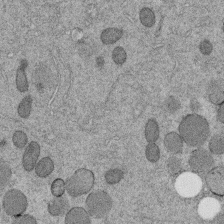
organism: C. elegans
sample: C. elegans embryo early stage